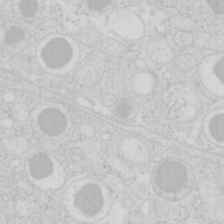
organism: Mouse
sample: Pancreas